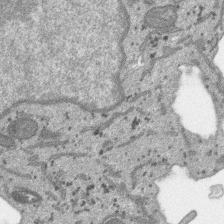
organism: Human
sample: Lung epithelial cells infected with SARS-CoV-2